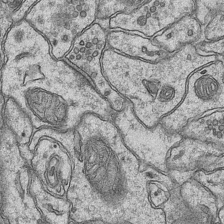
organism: Mouse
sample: CA1 Hippocampus